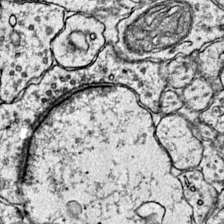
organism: Mouse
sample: Primary visual cortex